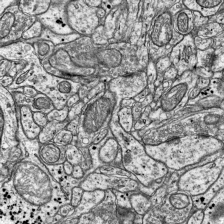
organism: Mouse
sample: Visual Cortex